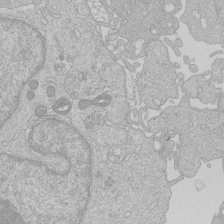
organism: Human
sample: Macrophage cells